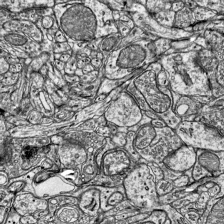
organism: Mouse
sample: Visual Cortex